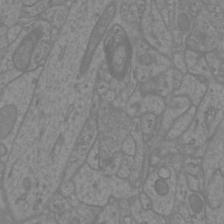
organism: Mouse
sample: Cortical neurons